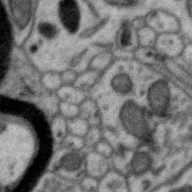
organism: Zebra finch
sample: Brain